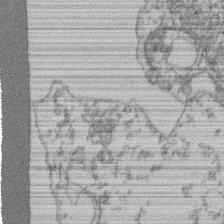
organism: Mouse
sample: T cell stromal cell synapse